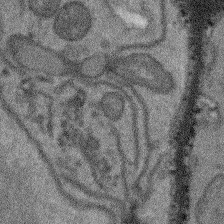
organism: Arabidopsis thaliana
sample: Root tip